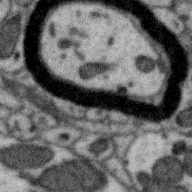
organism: Zebra finch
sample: Brain